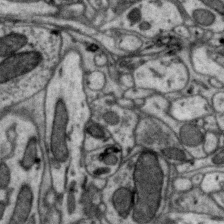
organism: Zebra finch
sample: Brain